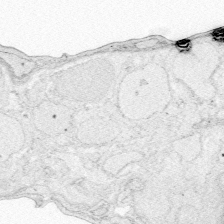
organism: Zebrafish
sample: Whole-Brain